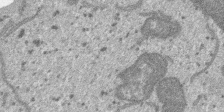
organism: Human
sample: Lung epithelial cells infected with SARS-CoV-2